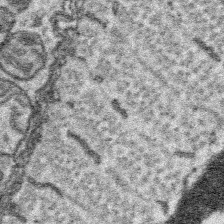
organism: Platynereis dumerilii